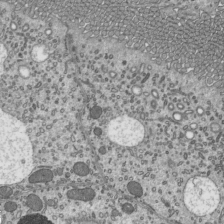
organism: Mouse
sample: Mouse epididymis efferent ductule cilia